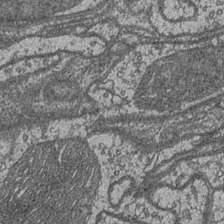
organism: Drosophila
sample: Optic medulla